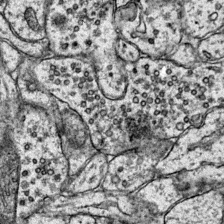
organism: Mouse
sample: Primary visual cortex